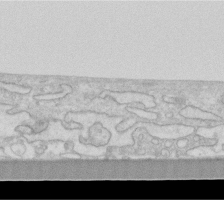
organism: Human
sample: Fibroblast cells